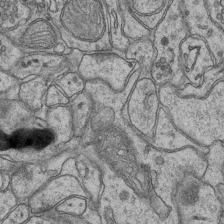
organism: Mouse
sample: CA1 Hippocampus